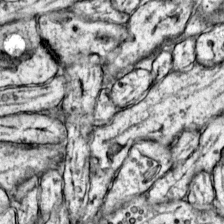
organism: Mouse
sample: Primary visual cortex